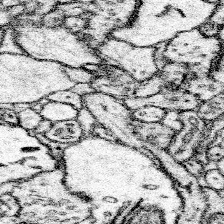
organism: Mouse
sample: Somatosensory cortex neuropil